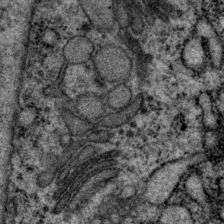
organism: P. pacificus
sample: Pharynx